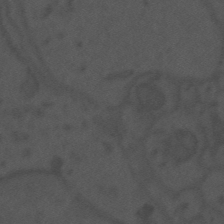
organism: Mouse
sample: Suprachiasmatic nucleus